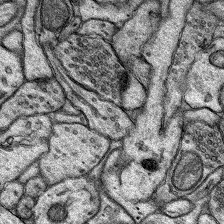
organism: Rat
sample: Hippocampus